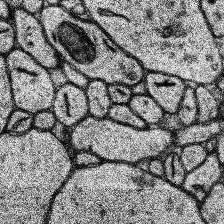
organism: Human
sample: Temporal Lobe